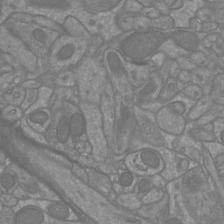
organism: Mouse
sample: Cortical neurons